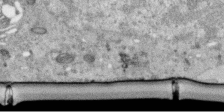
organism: Human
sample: Centriole in RPE cells